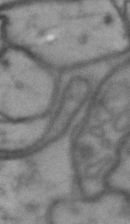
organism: Drosophila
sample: Brain